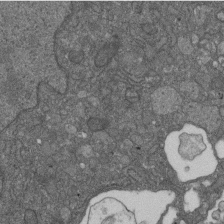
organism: Drosophila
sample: Nephrocyte